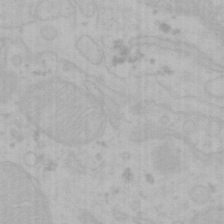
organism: Mouse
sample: Choroid plexus